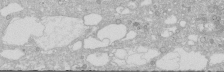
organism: Human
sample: Caco-2 cells